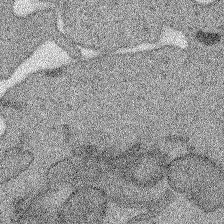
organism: Human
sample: HeLa cells